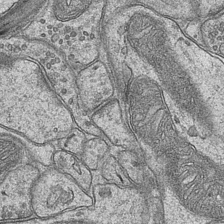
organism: Mouse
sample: CA1 Hippocampus